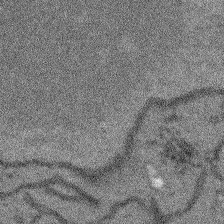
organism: Arabidopsis thaliana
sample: Root tip